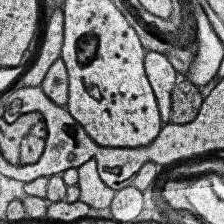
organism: Human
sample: Temporal Lobe